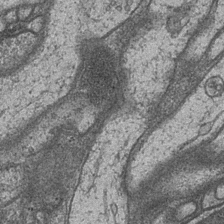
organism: Drosophila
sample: Optic medulla